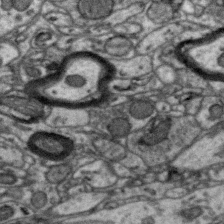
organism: Zebra finch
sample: Brain